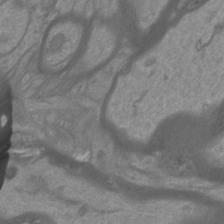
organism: Mouse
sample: Cortical neurons